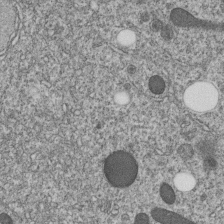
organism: C. elegans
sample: C. elegans embryo early stage